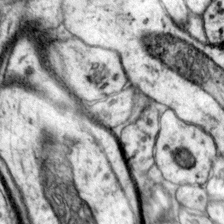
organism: Mouse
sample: Primary visual cortex